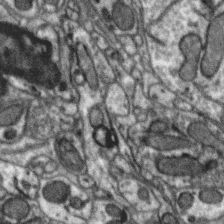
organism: Zebra finch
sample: Brain